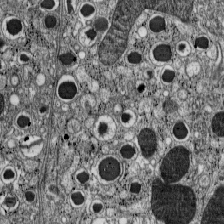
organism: C57BL Mouse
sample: Pancreatic islet